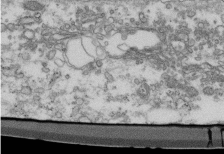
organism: Mouse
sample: Cilia; retinal pigment epithelium